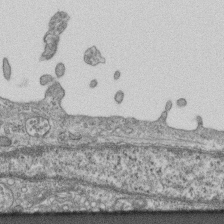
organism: Mouse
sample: Centriole in ependymal cells